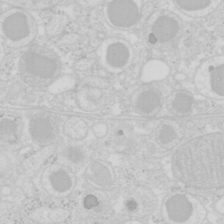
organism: Mouse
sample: Pancreas